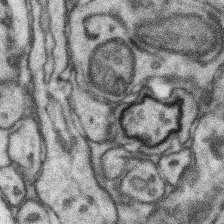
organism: Mouse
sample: Somatosensory cortex neuropil